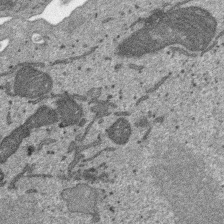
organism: Human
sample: Lung epithelial cells infected with SARS-CoV-2